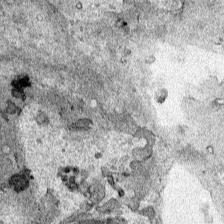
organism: Human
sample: Mitochondria in HCT116 cells